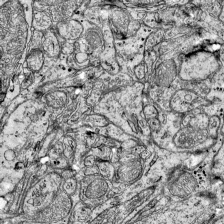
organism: Mouse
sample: Visual Cortex